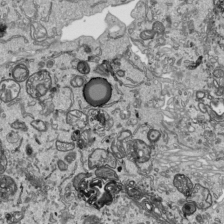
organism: Human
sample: Mitochondria in HCT116 cells